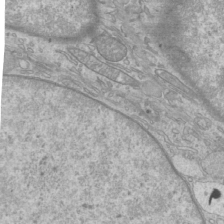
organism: Mouse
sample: Cilia; mouse epididymis